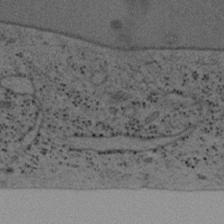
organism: Human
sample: HeLa cells